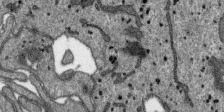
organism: Human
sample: Lung epithelial cells, uninfected (mock) control